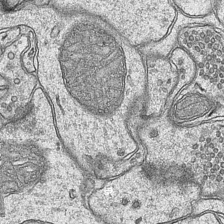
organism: Mouse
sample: CA1 Hippocampus